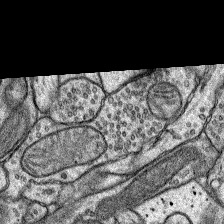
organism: Rat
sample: Hippocampus